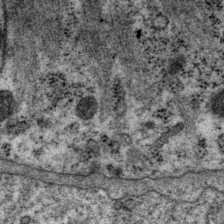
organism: P. pacificus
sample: Pharynx